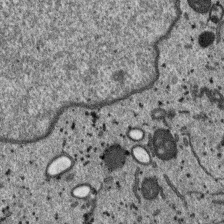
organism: Human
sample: Lung epithelial cells infected with SARS-CoV-2